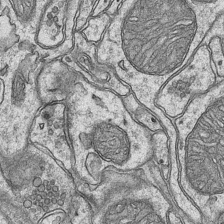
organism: Mouse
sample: CA1 Hippocampus